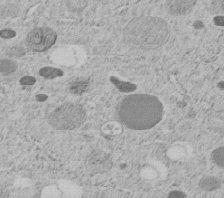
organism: C. elegans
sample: C. elegans embryo early stage